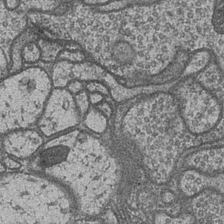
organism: Drosophila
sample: Optic medulla